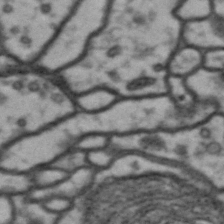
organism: Drosophila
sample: Brain